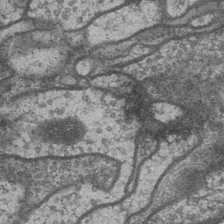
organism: Drosophila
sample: Optic medulla